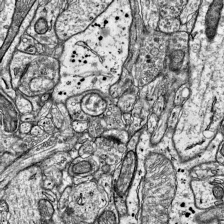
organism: Mouse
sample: Visual Cortex